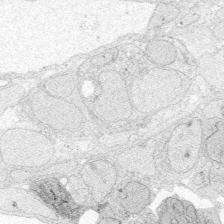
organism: Zebrafish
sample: Whole-Brain